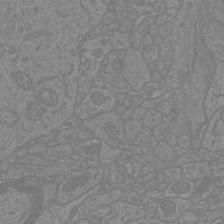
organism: Mouse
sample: Cortical neurons